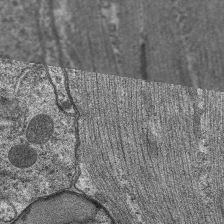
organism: C. elegans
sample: Pharynx